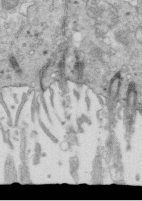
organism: Mouse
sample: Multiciliated cells